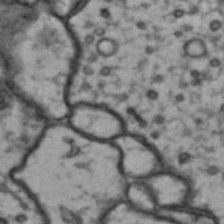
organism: Drosophila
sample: Brain